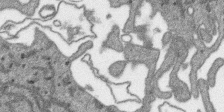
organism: Human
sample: Lung epithelial cells infected with SARS-CoV-2